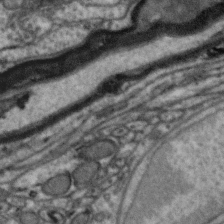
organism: Zebra finch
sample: Brain